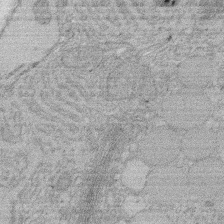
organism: Rat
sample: Salivary granule